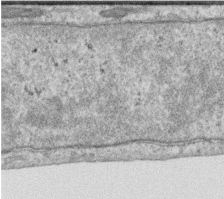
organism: Human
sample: Centriole in RPE cells